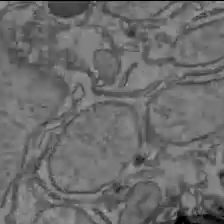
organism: C57BL Mouse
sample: Liver